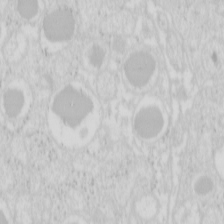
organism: Mouse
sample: Pancreas